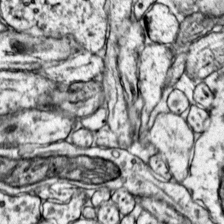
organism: Mouse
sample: Primary visual cortex